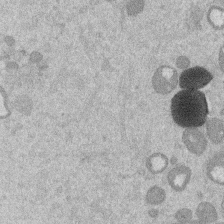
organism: Mouse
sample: Dividing mouse embryo 1 cell stage